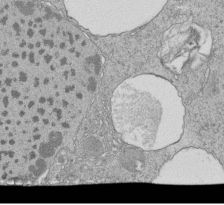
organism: Tetrahymena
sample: Cilia in tetrahymena